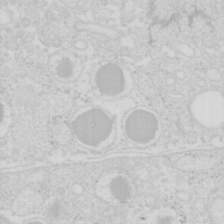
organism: Mouse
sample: Pancreas